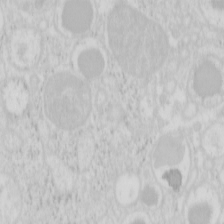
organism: Mouse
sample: Pancreas